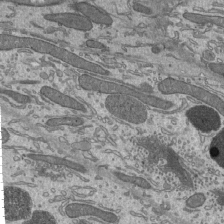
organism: Mouse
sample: Mouse epididymis efferent ductule cilia